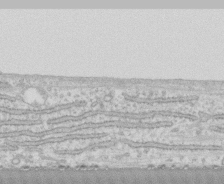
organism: Human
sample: CRL-1474